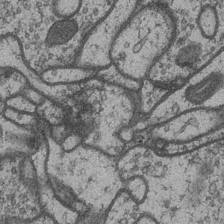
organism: Drosophila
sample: Optic medulla